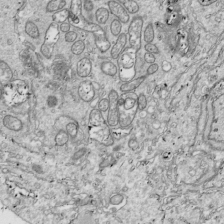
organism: Drosophila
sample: Cell division; meiosis; drosophila spermatocytes